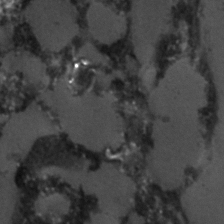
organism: C. elegans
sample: C. elegans embryo